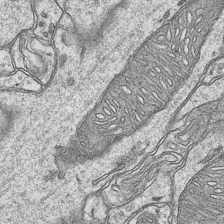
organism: Mouse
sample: CA1 Hippocampus